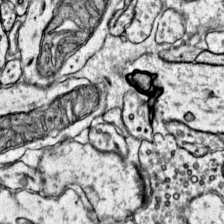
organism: Mouse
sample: Primary visual cortex